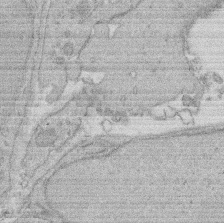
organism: Rat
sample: Salivary granule